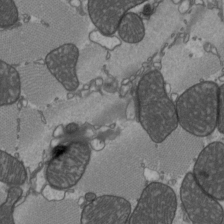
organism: C57BL Mouse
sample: Heart